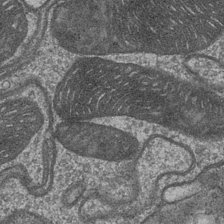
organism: Drosophila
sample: Optic medulla